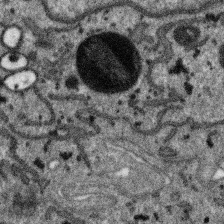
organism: Human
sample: Lung epithelial cells infected with SARS-CoV-2